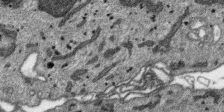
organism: Human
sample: Lung epithelial cells, uninfected (mock) control